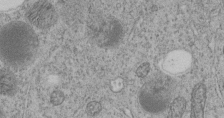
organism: C. elegans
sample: C. elegans embryo early stage